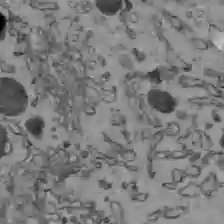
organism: C57BL Mouse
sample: Liver